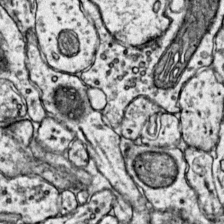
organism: Mouse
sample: Primary visual cortex